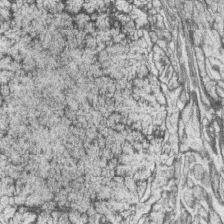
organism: Zebrafish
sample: synaptic ribbons in rod cells and cone cells